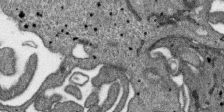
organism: Human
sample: Lung epithelial cells, uninfected (mock) control